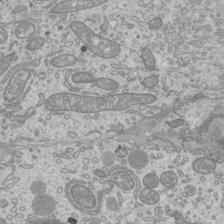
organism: Mouse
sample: Cilia; mouse epididymis